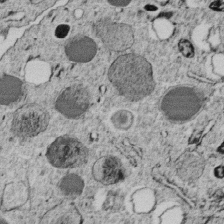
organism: C. elegans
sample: C. elegans embryo early stage